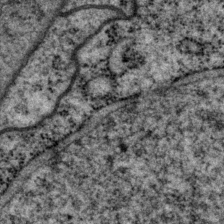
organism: P. pacificus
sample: Pharynx